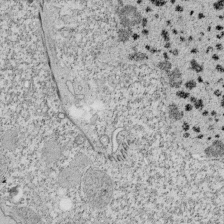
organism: Tetrahymena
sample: Cilia in tetrahymena